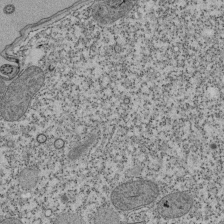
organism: Tetrahymena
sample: Cilia in tetrahymena